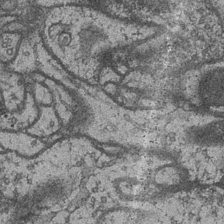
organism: Drosophila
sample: Optic medulla